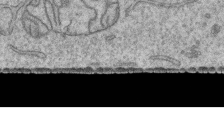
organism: Human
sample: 1205lu cells